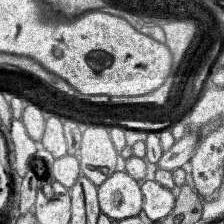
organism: Human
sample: Temporal Lobe